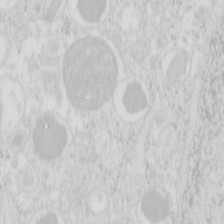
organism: Mouse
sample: Pancreas